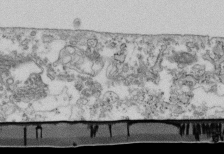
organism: Mouse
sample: Cilia; retinal pigment epithelium